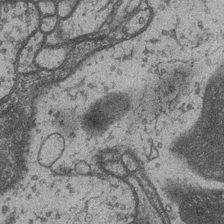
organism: Drosophila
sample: Optic medulla